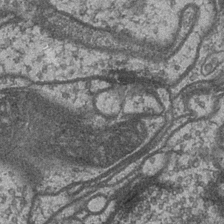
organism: Drosophila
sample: Optic medulla